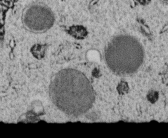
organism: C. elegans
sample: C. elegans embryo early stage